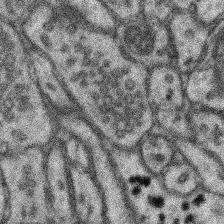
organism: Mouse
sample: Somatosensory cortex neuropil